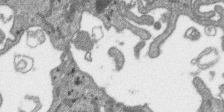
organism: Human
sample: Lung epithelial cells infected with SARS-CoV-2